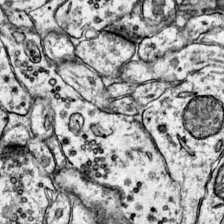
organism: Mouse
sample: Primary visual cortex